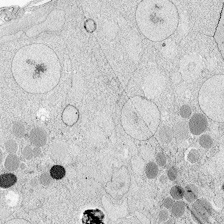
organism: Zebrafish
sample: Whole-Brain